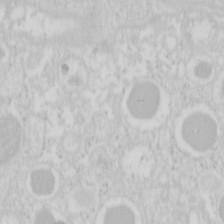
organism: Mouse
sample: Pancreas